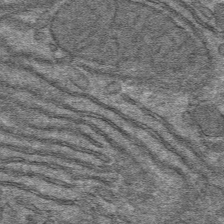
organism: Mouse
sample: Mouse hepatocytes